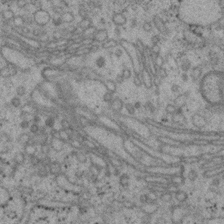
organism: Human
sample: HeLa cells